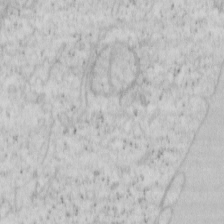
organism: Human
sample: HeLa cells